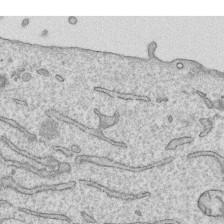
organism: Human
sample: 1205lu cells